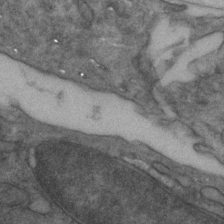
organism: Zebrafish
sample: Zebrafish embryo